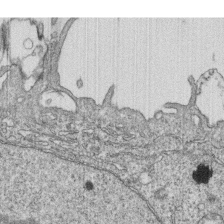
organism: Human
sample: HeLa cell HIV synapse